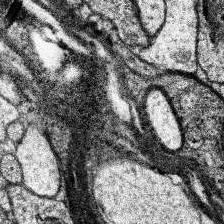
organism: Human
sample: Temporal Lobe